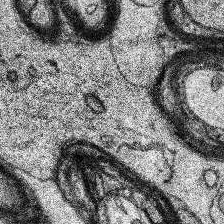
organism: Human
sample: Temporal Lobe